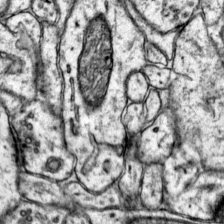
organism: Mouse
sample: Primary visual cortex